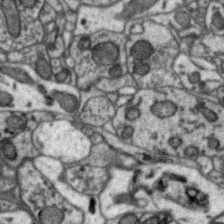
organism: Zebra finch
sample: Brain